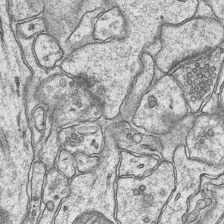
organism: Mouse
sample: CA1 Hippocampus